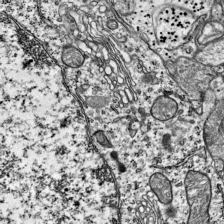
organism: Mouse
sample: Visual Cortex